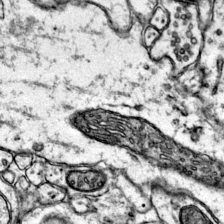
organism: Mouse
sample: Primary visual cortex